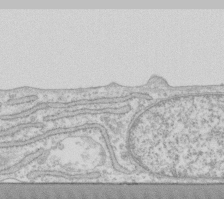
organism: Human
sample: Fibroblast cells